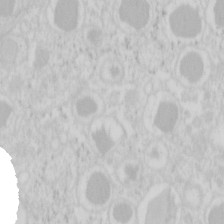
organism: Mouse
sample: Pancreas